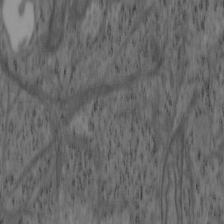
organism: Human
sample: HeLa cells